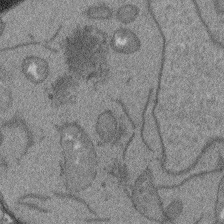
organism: Arabidopsis thaliana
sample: Root tip